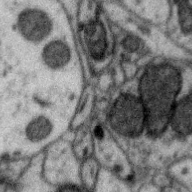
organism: Zebra finch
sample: Brain